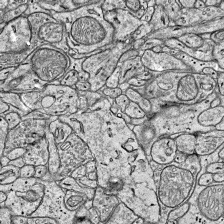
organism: Mouse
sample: Visual Cortex